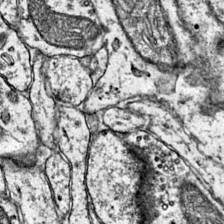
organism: Mouse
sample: Primary visual cortex